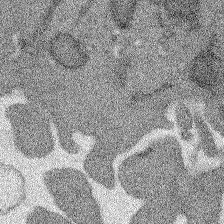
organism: Human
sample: HeLa cells